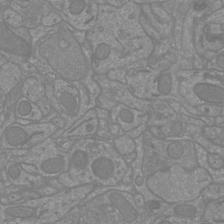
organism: Mouse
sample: Cortical neurons